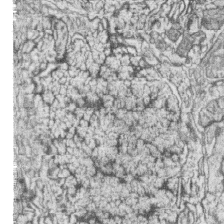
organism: Zebrafish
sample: synaptic ribbons in rod cells and cone cells